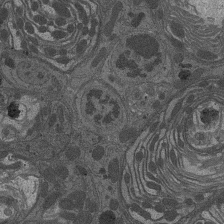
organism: Drosophila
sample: Antenna